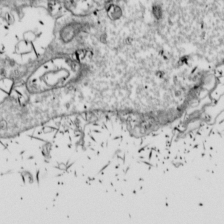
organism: Drosophila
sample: Cell division; meiosis; drosophila spermatocytes